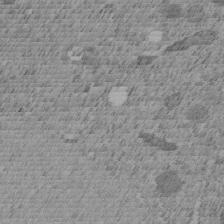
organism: C. elegans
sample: C. elegans embryo early stage